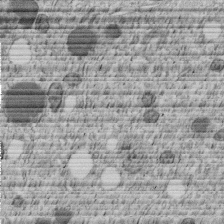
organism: C. elegans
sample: C. elegans embryo early stage